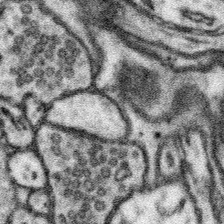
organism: Mouse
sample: Somatosensory cortex neuropil